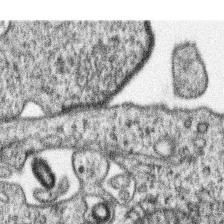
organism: Human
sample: HeLa cells